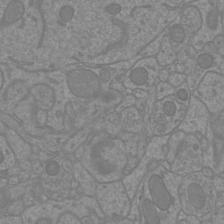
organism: Mouse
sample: Cortical neurons